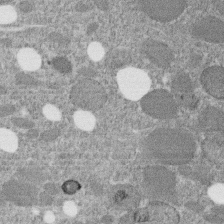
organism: C. elegans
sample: C. elegans embryo early stage